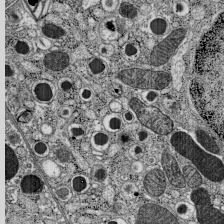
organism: C57BL Mouse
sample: Pancreatic islet